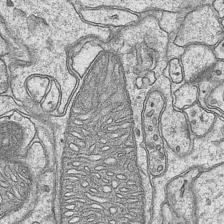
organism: Mouse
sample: CA1 Hippocampus